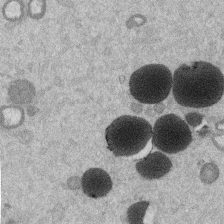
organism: Mouse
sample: Dividing mouse embryo 1 cell stage